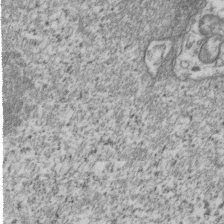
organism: Human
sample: Activated Jurkat CD4+ T cells